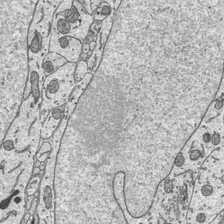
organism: Mouse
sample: Suprachiasmatic nucleus